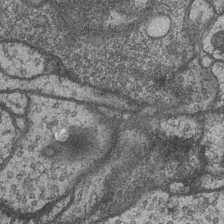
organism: Drosophila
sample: Optic medulla